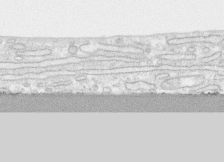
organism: Human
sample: CRL-1474